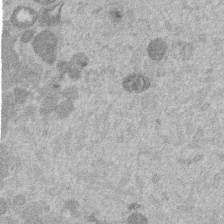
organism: Mouse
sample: Dividing mouse embryo 1 cell stage